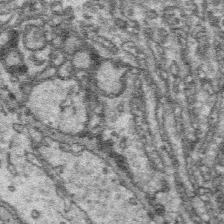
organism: Platynereis dumerilii